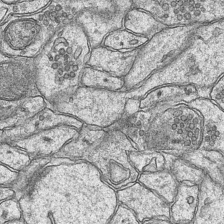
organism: Mouse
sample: CA1 Hippocampus